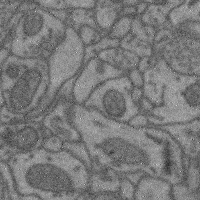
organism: Mouse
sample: Cerebral cortex